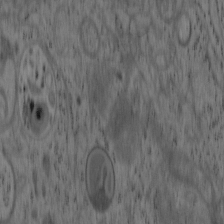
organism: Human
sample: HeLa cells